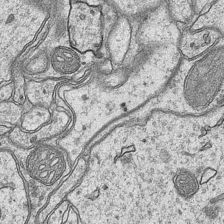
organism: Mouse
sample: CA1 Hippocampus